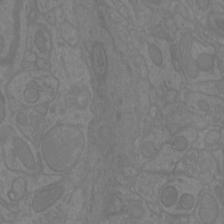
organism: Mouse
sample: Cortical neurons